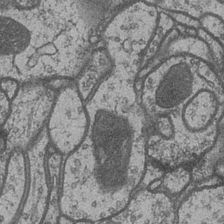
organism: Drosophila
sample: Optic medulla